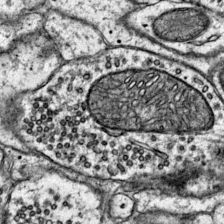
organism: Mouse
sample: Primary visual cortex